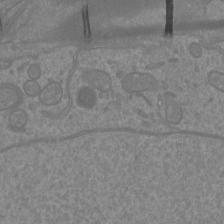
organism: Mouse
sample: Cortical neurons